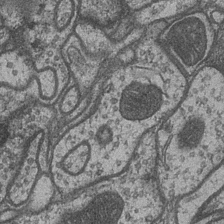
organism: Drosophila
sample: Optic medulla